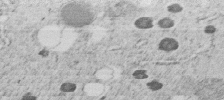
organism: C. elegans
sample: C. elegans embryo early stage